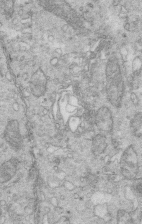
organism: Mouse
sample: Multiciliated cells